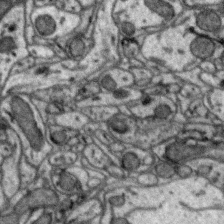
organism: Zebra finch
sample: Brain